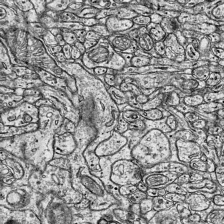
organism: Mouse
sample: Visual Cortex